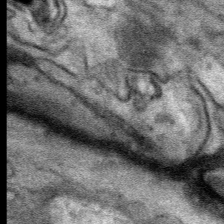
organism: Mouse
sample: Mouse Salivary gland